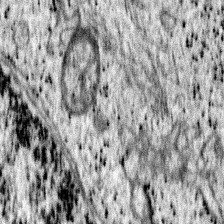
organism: Human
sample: HeLa cells